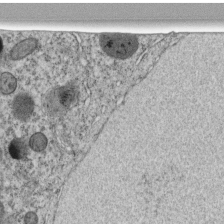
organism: C. elegans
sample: C. elegans embryo early stage